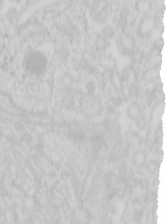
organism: Mouse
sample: Pancreas